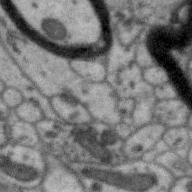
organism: Zebra finch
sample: Brain